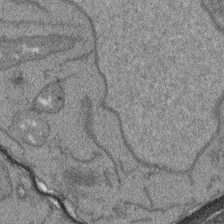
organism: Arabidopsis thaliana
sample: Root tip